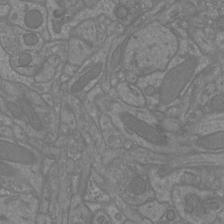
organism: Mouse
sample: Cortical neurons